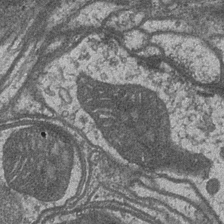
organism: Drosophila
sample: Optic medulla